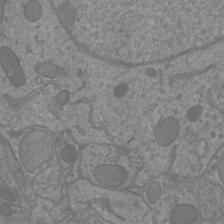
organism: Mouse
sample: Cortical neurons